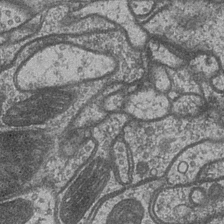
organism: Drosophila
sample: Optic medulla